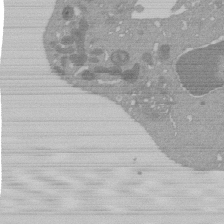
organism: Mouse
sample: Activated Pmel transgenic CD8+ T Cells